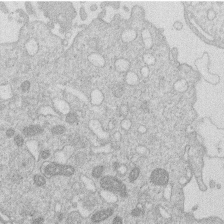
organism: Human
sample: Macrophage cells